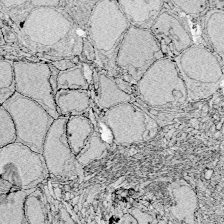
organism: Zebrafish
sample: Whole-Brain